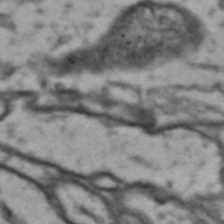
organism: Drosophila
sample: Brain